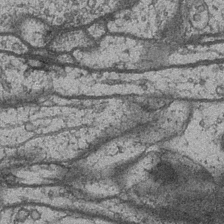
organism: Drosophila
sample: Optic medulla